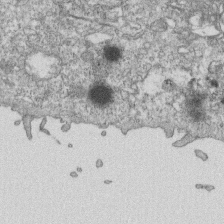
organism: Human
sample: HeLa cell HIV synapse